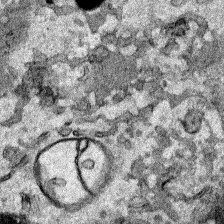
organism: Human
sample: Mitochondria in HCT116 cells